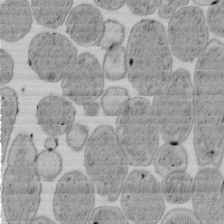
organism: E. coli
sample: Bacterial nucleoid